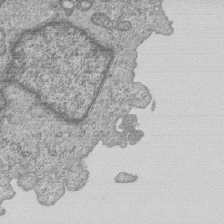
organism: Human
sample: MDA-MB-231 cells